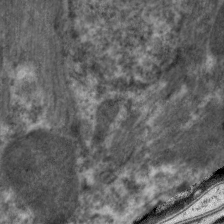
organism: C. elegans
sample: Pharynx